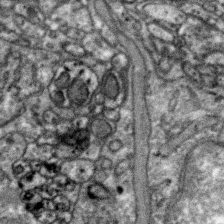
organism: Zebra finch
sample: Brain